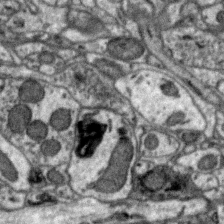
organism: Zebra finch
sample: Brain